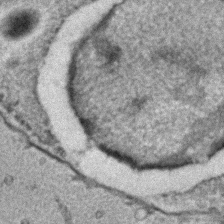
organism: C. elegans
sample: C. elegans embryo